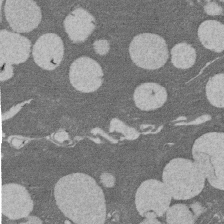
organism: Rat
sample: Salivary granule